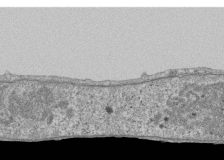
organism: Human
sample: Fibroblast cells